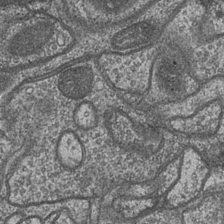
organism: Drosophila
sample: Optic medulla